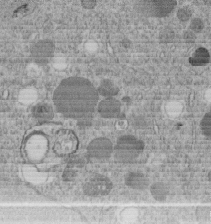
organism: C. elegans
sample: C. elegans embryo early stage